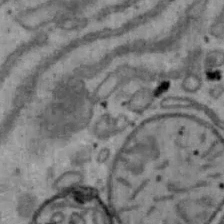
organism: Mouse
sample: Liver